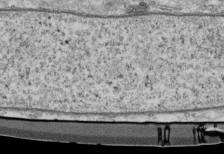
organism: Mouse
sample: Cilia; retinal pigment epithelium